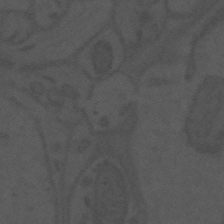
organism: Mouse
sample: Suprachiasmatic nucleus